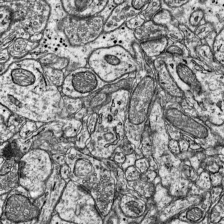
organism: Mouse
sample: Visual Cortex